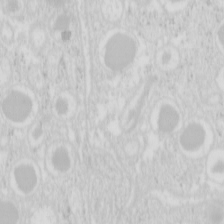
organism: Mouse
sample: Pancreas